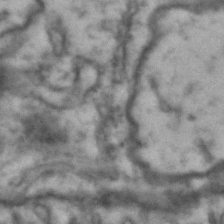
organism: Drosophila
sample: Brain